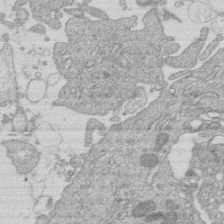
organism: Human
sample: Macrophage cells